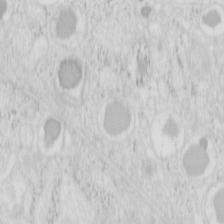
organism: Mouse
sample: Pancreas